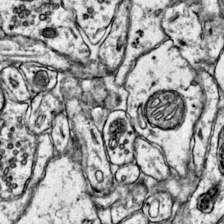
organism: Mouse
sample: Primary visual cortex